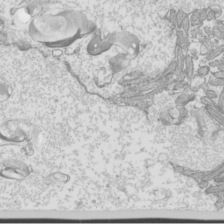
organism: Mouse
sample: Cilia; mouse epididymis